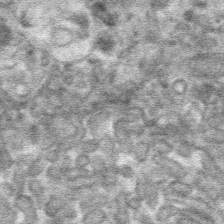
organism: Mouse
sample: Mouse hepatocytes